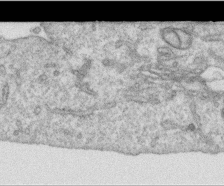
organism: Human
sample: Centriole in RPE cells